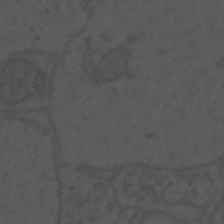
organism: Mouse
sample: Suprachiasmatic nucleus